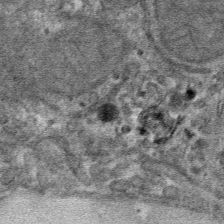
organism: Mouse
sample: Mouse hepatocytes